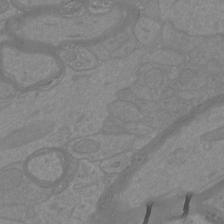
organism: Mouse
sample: Cortical neurons